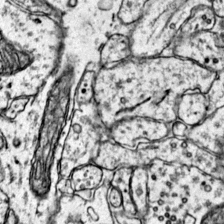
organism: Mouse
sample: Primary visual cortex